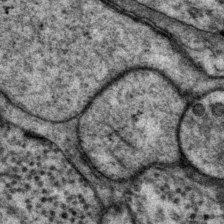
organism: P. pacificus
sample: Pharynx